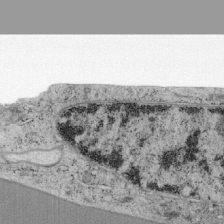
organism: Human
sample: HeLa cells